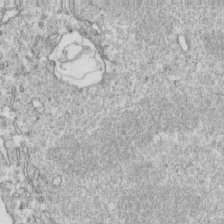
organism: Mouse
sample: Activated OT-1 CD8+ T cells